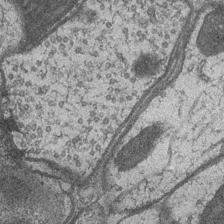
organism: Drosophila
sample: Optic medulla